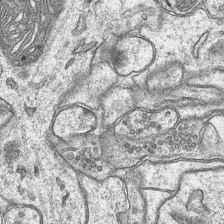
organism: Mouse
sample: CA1 Hippocampus